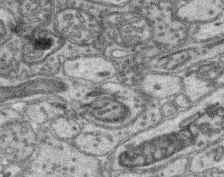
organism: Mouse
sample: Retina